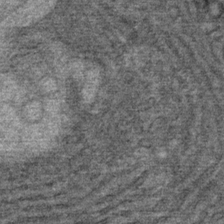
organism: Mouse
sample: Mouse Salivary gland